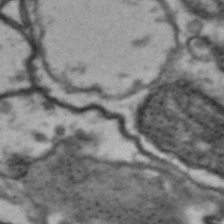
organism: Drosophila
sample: Brain